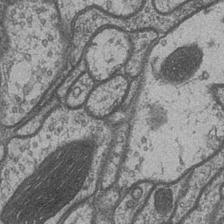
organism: Drosophila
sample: Optic medulla